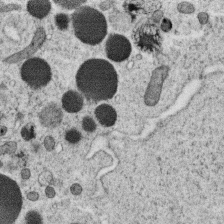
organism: C. elegans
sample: C. elegans oocyte; sperm cells